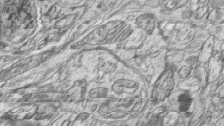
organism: Zebrafish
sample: synaptic ribbons in rod cells and cone cells